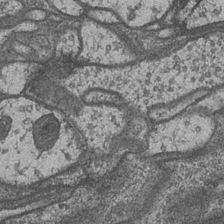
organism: Drosophila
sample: Optic medulla